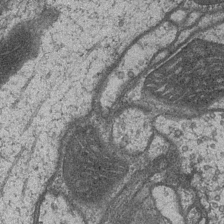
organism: Drosophila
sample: Optic medulla